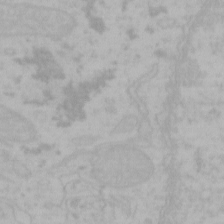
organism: Mouse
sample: Choroid plexus